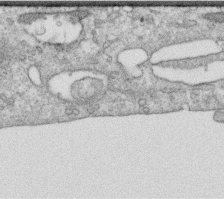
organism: Human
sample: Centriole in RPE cells